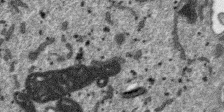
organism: Human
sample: Lung epithelial cells infected with SARS-CoV-2